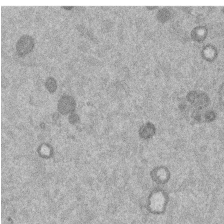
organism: Mouse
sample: Dividing mouse embryo 1 cell stage